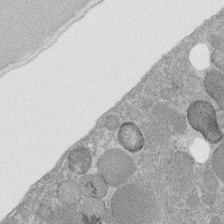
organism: C. elegans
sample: C. elegans embryo early stage